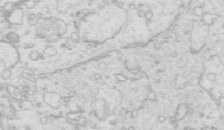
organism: Mouse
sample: Multiciliated cells